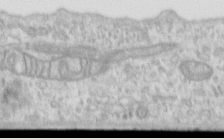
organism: Human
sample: Centriole in RPE cells